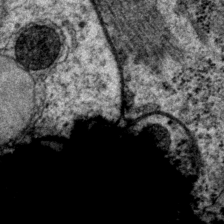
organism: P. pacificus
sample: Pharynx